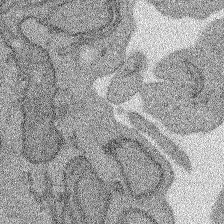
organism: Human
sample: HeLa cells